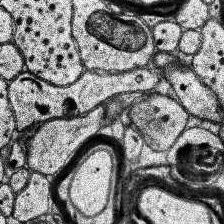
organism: Human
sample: Temporal Lobe